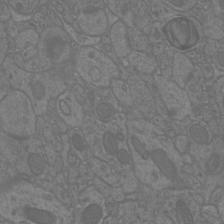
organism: Mouse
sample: Cortical neurons